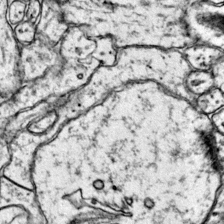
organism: Mouse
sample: Primary visual cortex